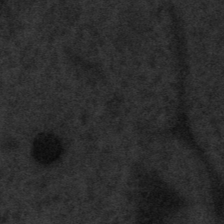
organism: Tuwongella immobilis